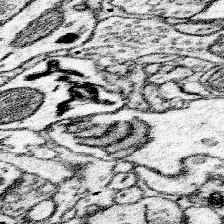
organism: Mouse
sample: Somatosensory cortex neuropil